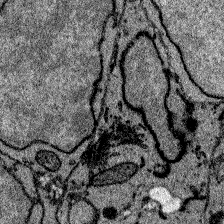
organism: Zebrafish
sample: Larval olfactory bulb